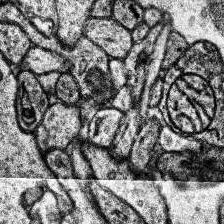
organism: Human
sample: Temporal Lobe